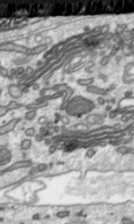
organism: Toxoplasma gondii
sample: Parasites in a vacuole inside a host cell